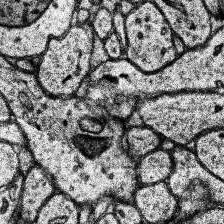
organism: Human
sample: Temporal Lobe